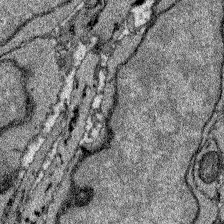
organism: Zebrafish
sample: Larval olfactory bulb